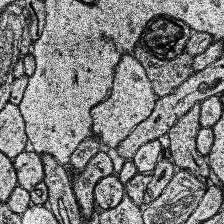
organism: Human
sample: Temporal Lobe